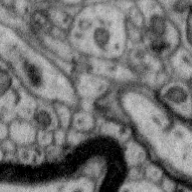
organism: Zebra finch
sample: Brain